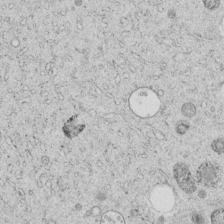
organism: C. elegans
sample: C. elegans embryo early stage